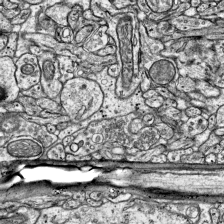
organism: Mouse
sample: Visual Cortex